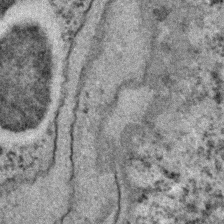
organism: C. elegans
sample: C. elegans embryo